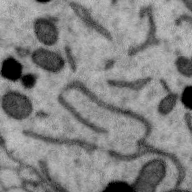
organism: Zebra finch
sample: Brain